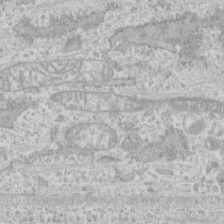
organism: Human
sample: CRL-1474